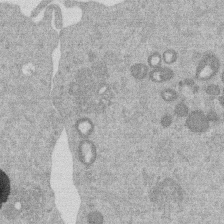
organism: Mouse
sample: Dividing mouse embryo 1 cell stage